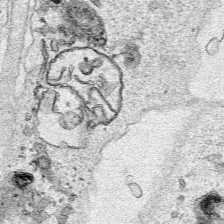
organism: Human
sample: Mitochondria in HCT116 cells